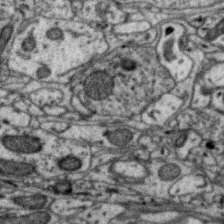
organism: Zebra finch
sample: Brain